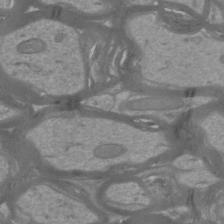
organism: Mouse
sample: Cortical neurons